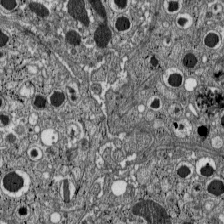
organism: C57BL Mouse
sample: Pancreatic islet